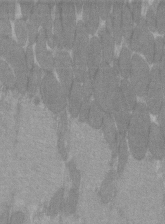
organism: C57BL Mouse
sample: Tibialis anterior muscle cell